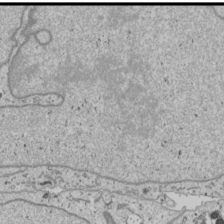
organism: Human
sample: Mitochondria in U2OS cells